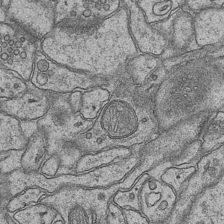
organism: Mouse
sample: CA1 Hippocampus